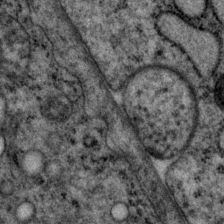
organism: P. pacificus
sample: Pharynx